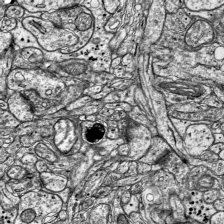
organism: Mouse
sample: Visual Cortex